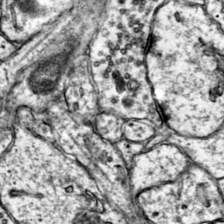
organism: Mouse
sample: Primary visual cortex